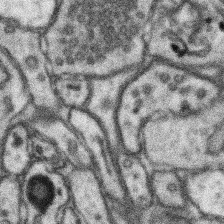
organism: Mouse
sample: Somatosensory cortex neuropil